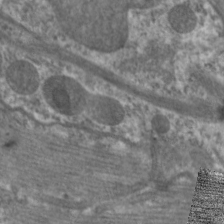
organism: C. elegans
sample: Pharynx